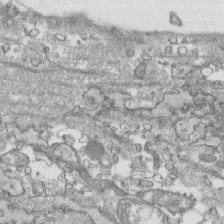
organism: Human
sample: CRL-1474